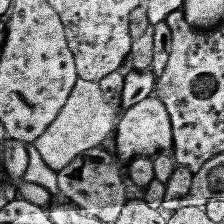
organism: Human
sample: Temporal Lobe